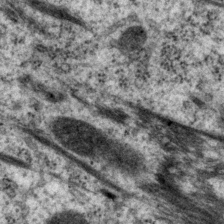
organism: P. pacificus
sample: Pharynx